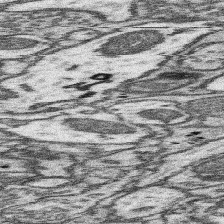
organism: Mouse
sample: Somatosensory cortex neuropil